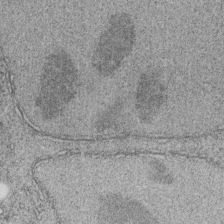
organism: C. elegans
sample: C. elegans embryo early stage